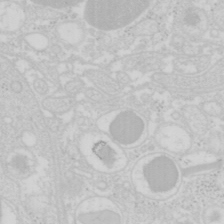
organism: Mouse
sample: Pancreas